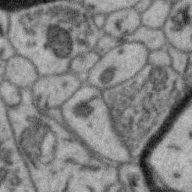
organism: Zebra finch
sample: Brain